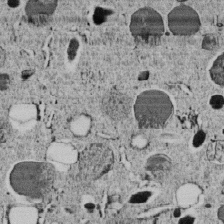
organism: C. elegans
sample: C. elegans embryo early stage